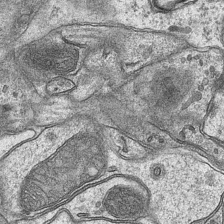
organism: Mouse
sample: CA1 Hippocampus